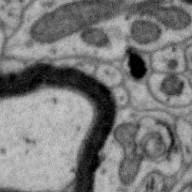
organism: Zebra finch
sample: Brain